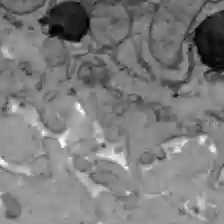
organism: C57BL Mouse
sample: Liver